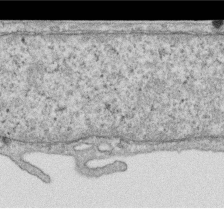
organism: Human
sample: Centriole in RPE cells